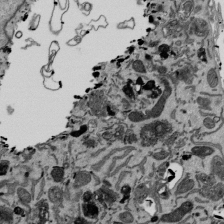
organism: Mouse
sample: ED-1 cell nuclei; centrioles